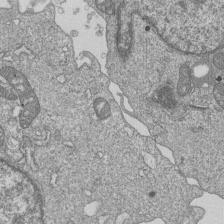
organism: Human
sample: MDA-MB-231 cells